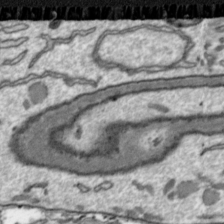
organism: Toxoplasma gondii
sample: Parasites in a vacuole inside a host cell